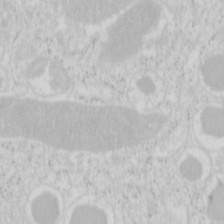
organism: Mouse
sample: Pancreas